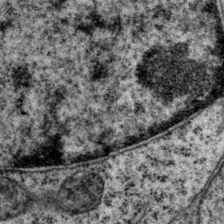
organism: P. pacificus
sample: Pharynx